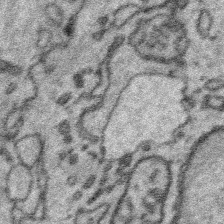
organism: Platynereis dumerilii